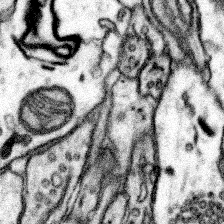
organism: Mouse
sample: Somatosensory cortex neuropil